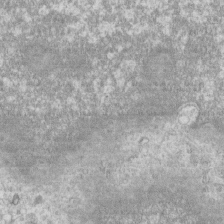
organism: Human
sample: CRL-1474